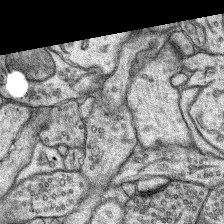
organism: Rat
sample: Hippocampus